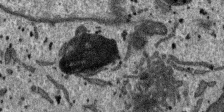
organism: Human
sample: Lung epithelial cells, uninfected (mock) control